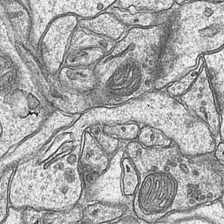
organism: Mouse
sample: CA1 Hippocampus